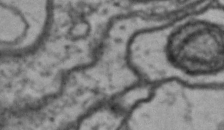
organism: Drosophila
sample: Brain